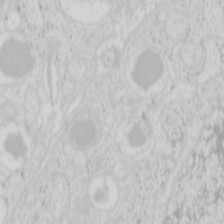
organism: Mouse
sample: Pancreas